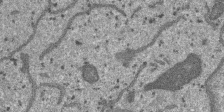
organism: Human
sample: Lung epithelial cells infected with SARS-CoV-2